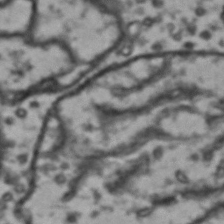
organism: Drosophila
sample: Brain